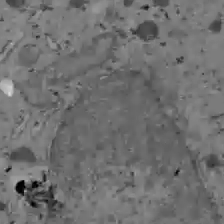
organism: C57BL Mouse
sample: Liver